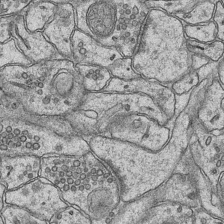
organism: Mouse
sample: CA1 Hippocampus